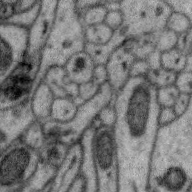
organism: Zebra finch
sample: Brain